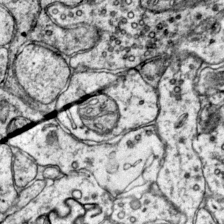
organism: Mouse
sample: Primary visual cortex